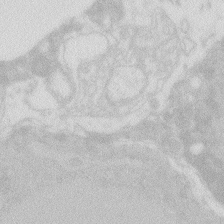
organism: Zebrafish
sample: Macrophage